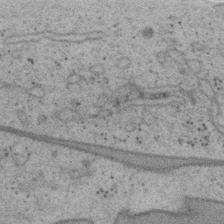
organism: Human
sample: HeLa cells